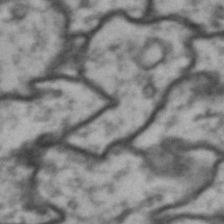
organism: Drosophila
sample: Brain